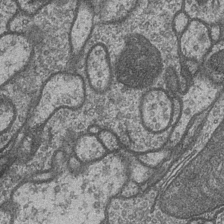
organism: Drosophila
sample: Optic medulla